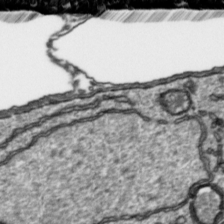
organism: Toxoplasma gondii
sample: Parasites in a vacuole inside a host cell